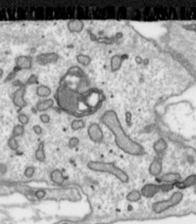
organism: Toxoplasma gondii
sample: Parasites in a vacuole inside a host cell